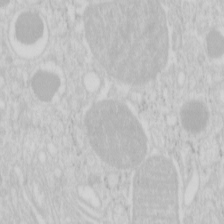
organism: Mouse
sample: Pancreas